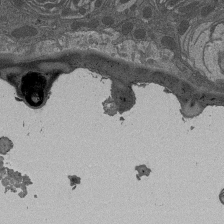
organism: Drosophila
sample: Antenna